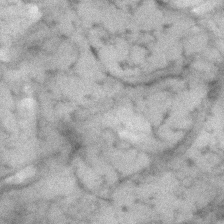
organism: Human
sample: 1205lu cells